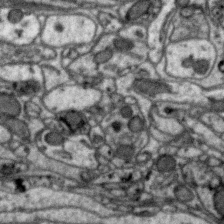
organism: Zebra finch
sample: Brain